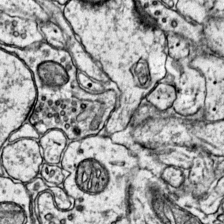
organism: Mouse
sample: Primary visual cortex